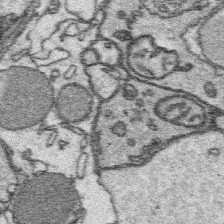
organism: Platynereis dumerilii